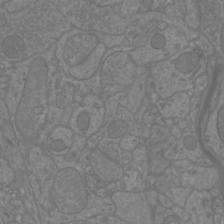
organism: Mouse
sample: Cortical neurons